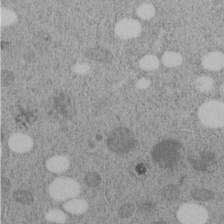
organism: C. elegans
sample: C. elegans embryo early stage